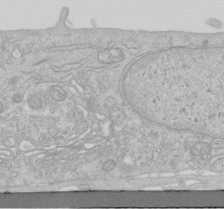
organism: Human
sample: Centriole in RPE cells